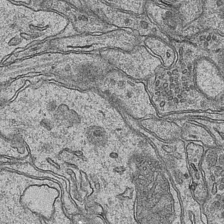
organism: Mouse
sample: CA1 Hippocampus